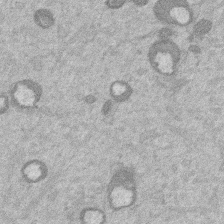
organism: Mouse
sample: Dividing mouse embryo 1 cell stage